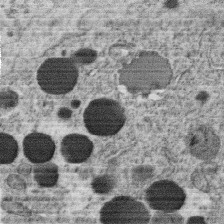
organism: C. elegans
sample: C. elegans oocyte; sperm cells